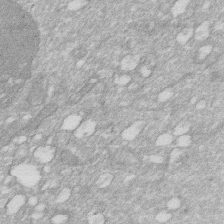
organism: Human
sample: HIV infected U937 cells